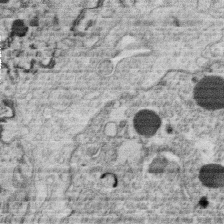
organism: C. elegans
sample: C. elegans oocyte; sperm cells